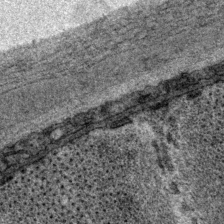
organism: P. pacificus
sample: Pharynx